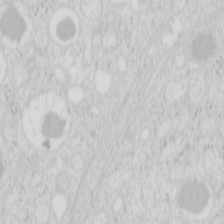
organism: Mouse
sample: Pancreas